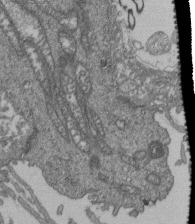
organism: Human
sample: Retinal organoid Rod and Cone cells